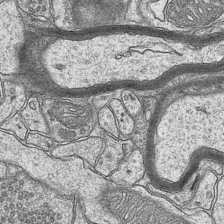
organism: Mouse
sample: CA1 Hippocampus